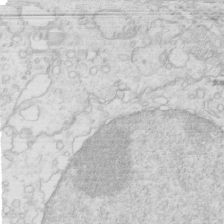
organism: Mouse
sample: Multiciliated cells